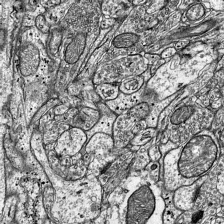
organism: Mouse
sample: Visual Cortex